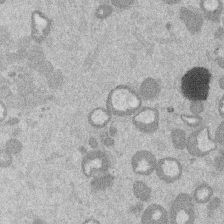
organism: Mouse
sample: Dividing mouse embryo 1 cell stage